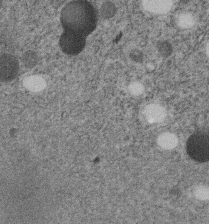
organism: C. elegans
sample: C. elegans embryo early stage